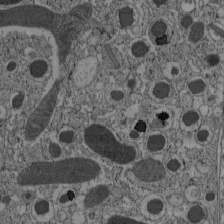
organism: C57BL Mouse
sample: Pancreatic islet